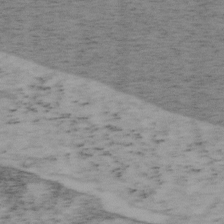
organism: Mouse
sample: OT-I killer T cells with ID8 ovarian cancer cells